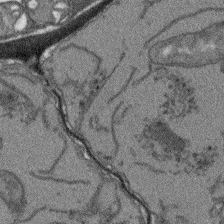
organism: Arabidopsis thaliana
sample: Root tip